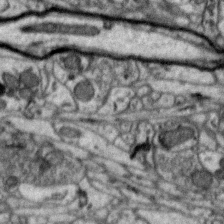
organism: Zebra finch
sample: Brain